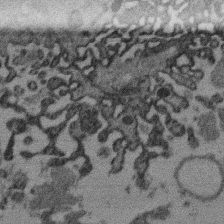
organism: Mouse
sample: Dividing mouse embryo 1 cell stage